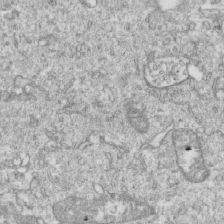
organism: Mouse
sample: Activated OT-1 CD8+ T cells